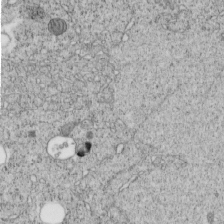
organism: C. elegans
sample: C. elegans embryo early stage